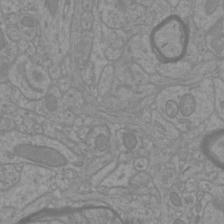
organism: Mouse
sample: Cortical neurons